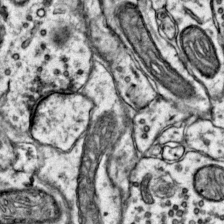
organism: Mouse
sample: Primary visual cortex